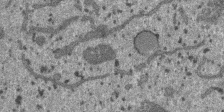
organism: Human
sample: Lung epithelial cells infected with SARS-CoV-2